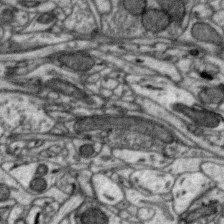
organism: Zebra finch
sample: Brain